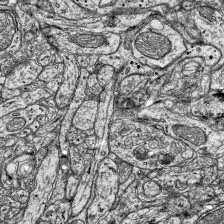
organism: Mouse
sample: Visual Cortex